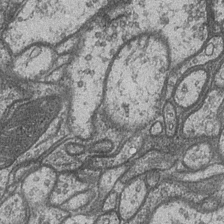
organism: Drosophila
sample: Optic medulla